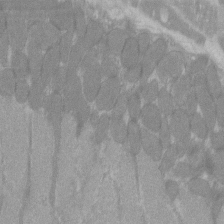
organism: C57BL Mouse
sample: Tibialis anterior muscle cell